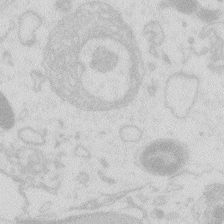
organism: Zebrafish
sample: Macrophage